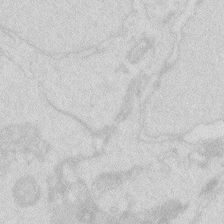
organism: Zebrafish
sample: Macrophage